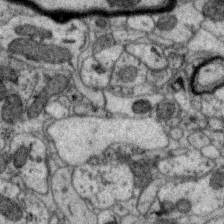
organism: Zebra finch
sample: Brain